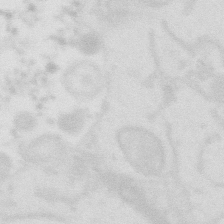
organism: Human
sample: HeLa cells